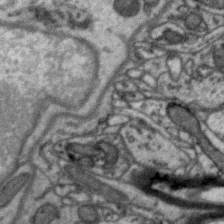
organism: Zebra finch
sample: Brain